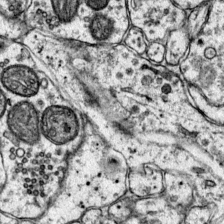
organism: Mouse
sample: Primary visual cortex